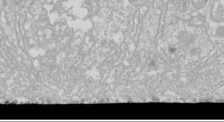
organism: Drosophila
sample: Cell division; meiosis; drosophila spermatocytes